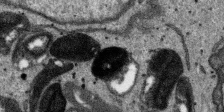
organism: Human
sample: Lung epithelial cells, uninfected (mock) control